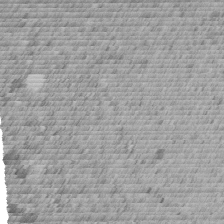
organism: C. elegans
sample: C. elegans embryo early stage